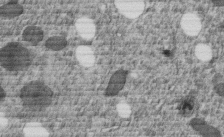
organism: C. elegans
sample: C. elegans embryo early stage